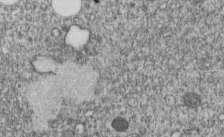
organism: C. elegans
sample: C. elegans embryo early stage